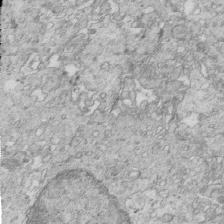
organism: Mouse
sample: Multiciliated cells